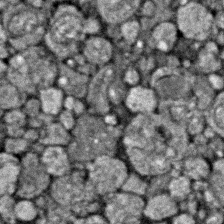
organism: Zebrafish